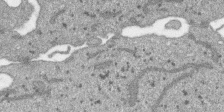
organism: Human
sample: Lung epithelial cells infected with SARS-CoV-2